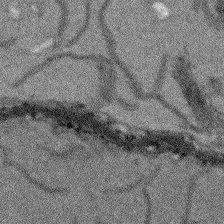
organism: Arabidopsis thaliana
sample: Root tip